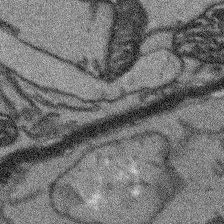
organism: Arabidopsis thaliana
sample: Root tip